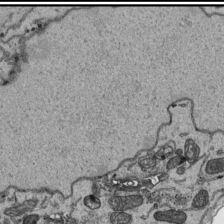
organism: Human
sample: Mitochondria in HCT116 cells